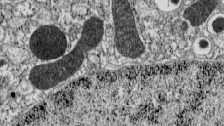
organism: C57BL Mouse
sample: Pancreatic islet